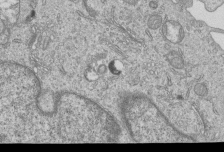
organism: Human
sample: MDA-MB-231 cells